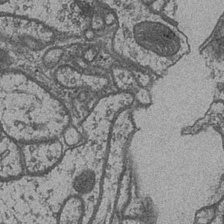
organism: Drosophila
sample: Optic medulla